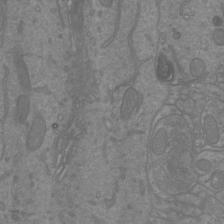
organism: Mouse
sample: Cortical neurons